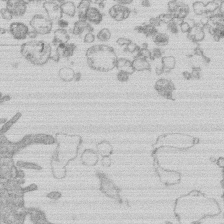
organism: Human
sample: Macrophage cells